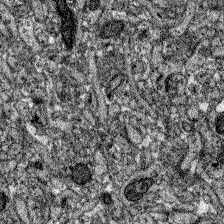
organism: Zebrafish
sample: Larval olfactory bulb